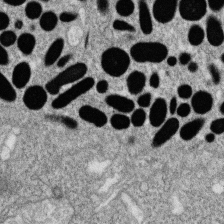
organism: Zebrafish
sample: Cilia; retinal pigment epithelium